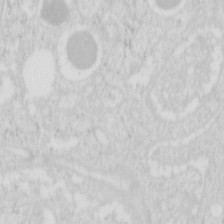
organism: Mouse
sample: Pancreas